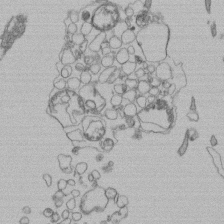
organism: Human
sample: Retinal organoid Rod and Cone cells